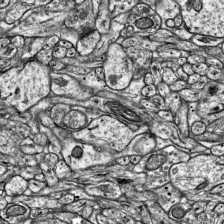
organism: Mouse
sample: Visual Cortex